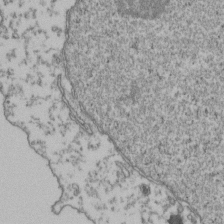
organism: Human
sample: Activated Jurkat CD4+ T cells